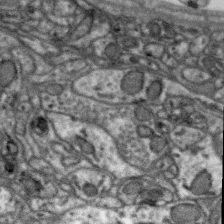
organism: Zebra finch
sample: Brain